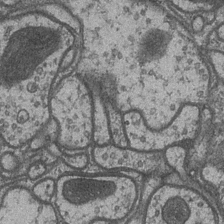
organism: Drosophila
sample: Optic medulla